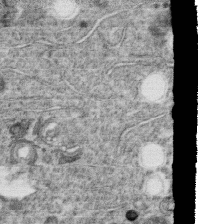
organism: C. elegans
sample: C. elegans oocyte; sperm cells